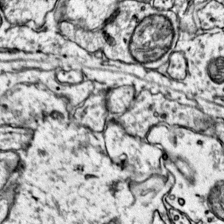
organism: Mouse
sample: Primary visual cortex